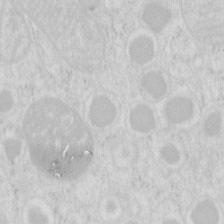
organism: Mouse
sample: Pancreas